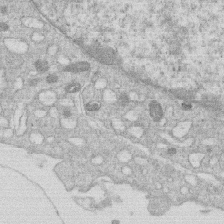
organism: Human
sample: Macrophage cells